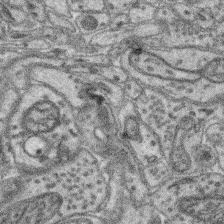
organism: Mouse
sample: Retina